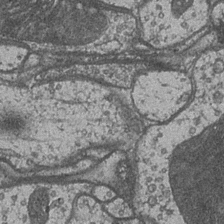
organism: Drosophila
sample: Optic medulla